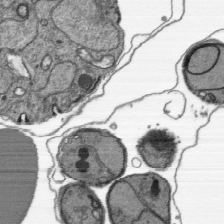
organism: Plasmodium falciparum